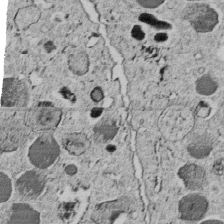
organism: C. elegans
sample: C. elegans embryo early stage